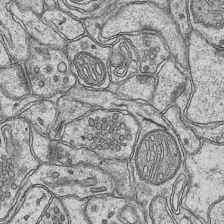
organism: Mouse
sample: CA1 Hippocampus